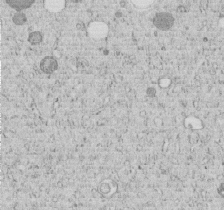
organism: C. elegans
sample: C. elegans embryo early stage